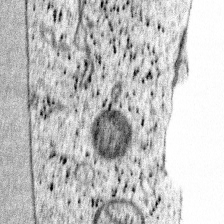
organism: Human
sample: HeLa cells